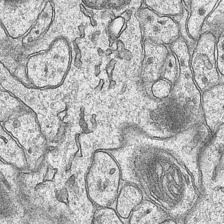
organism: Mouse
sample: CA1 Hippocampus